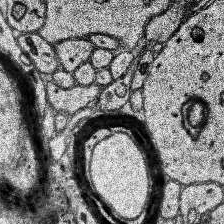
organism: Human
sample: Temporal Lobe